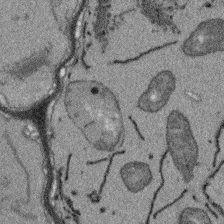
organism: Arabidopsis thaliana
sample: Root tip